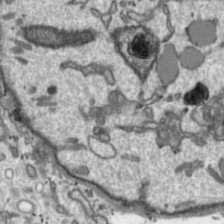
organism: Toxoplasma gondii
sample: Parasites in a vacuole inside a host cell